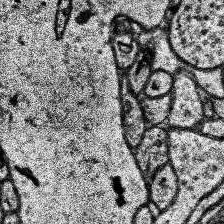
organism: Human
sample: Temporal Lobe